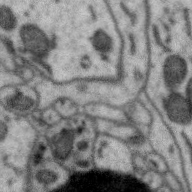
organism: Zebra finch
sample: Brain